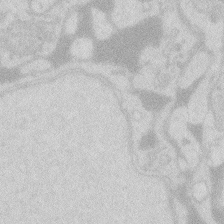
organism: Zebrafish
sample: Macrophage